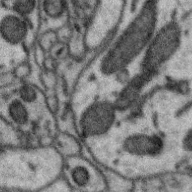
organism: Zebra finch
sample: Brain